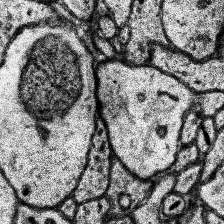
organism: Human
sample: Temporal Lobe